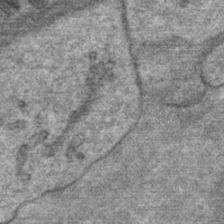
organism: Mouse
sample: Mouse Salivary gland